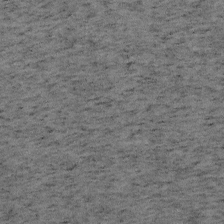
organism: Mouse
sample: OT-I killer T cells with ID8 ovarian cancer cells